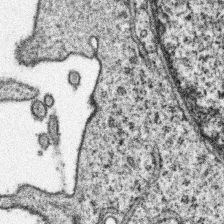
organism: Human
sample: HeLa cells